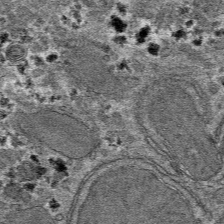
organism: Mouse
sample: Mouse hepatocytes